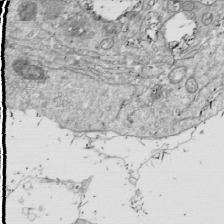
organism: Drosophila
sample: Cell division; meiosis; drosophila spermatocytes